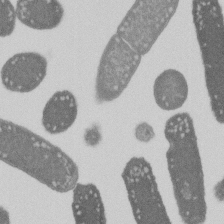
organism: E. coli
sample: Bacterial nucleoid